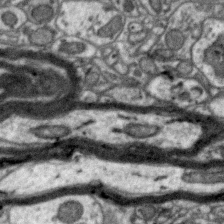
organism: Zebra finch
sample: Brain